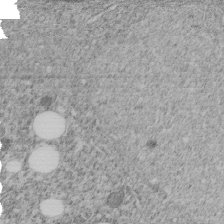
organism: C. elegans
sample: C. elegans embryo early stage